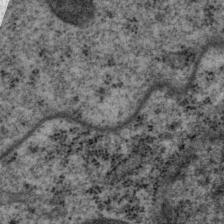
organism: P. pacificus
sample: Pharynx